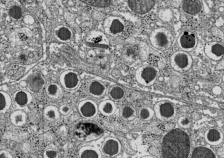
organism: C57BL Mouse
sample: Pancreatic islet